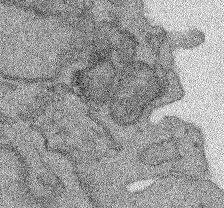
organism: Human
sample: HeLa cells